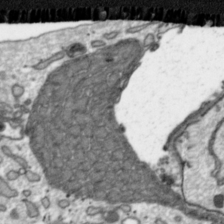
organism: Toxoplasma gondii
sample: Parasites in a vacuole inside a host cell